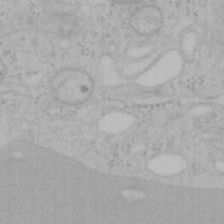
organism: Mouse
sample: OT-I killer T cells with ID8 ovarian cancer cells